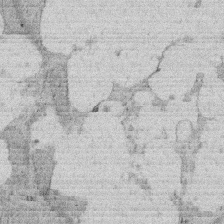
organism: Rat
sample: Salivary granule